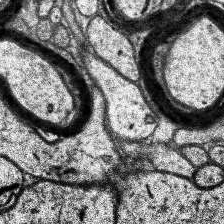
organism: Human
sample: Temporal Lobe